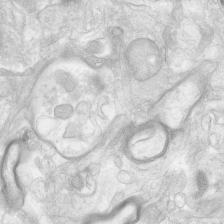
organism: Human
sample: Neocortex